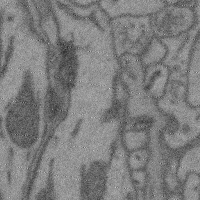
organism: Mouse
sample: Cerebral cortex